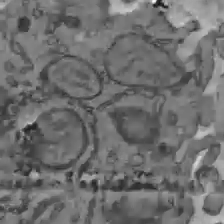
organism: C57BL Mouse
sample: Liver